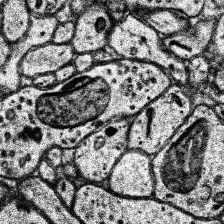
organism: Human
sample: Temporal Lobe